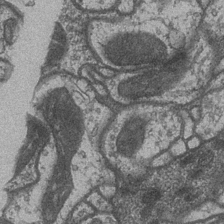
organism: Drosophila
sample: Optic medulla